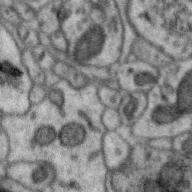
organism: Zebra finch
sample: Brain